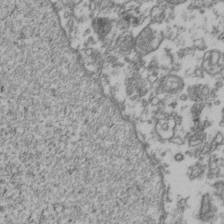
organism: Human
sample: Activated Jurkat CD4+ T cells